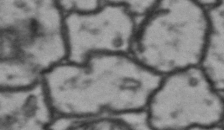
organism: Drosophila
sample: Brain